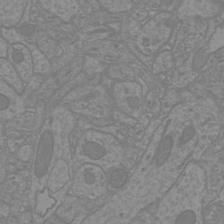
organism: Mouse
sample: Cortical neurons